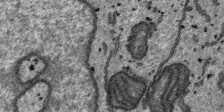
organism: Human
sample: Lung epithelial cells, uninfected (mock) control